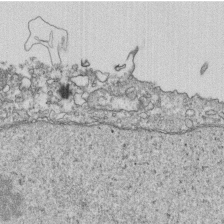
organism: Human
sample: HeLa cell HIV synapse